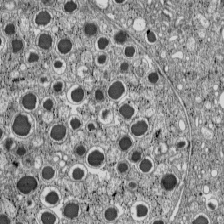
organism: C57BL Mouse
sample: Pancreatic islet